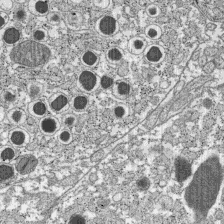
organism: C57BL Mouse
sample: Pancreatic islet